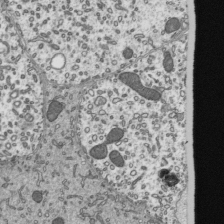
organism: Mouse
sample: Mouse epididymis efferent ductule cilia